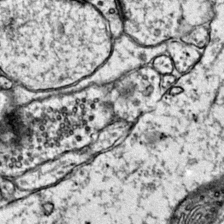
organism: Mouse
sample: Primary visual cortex